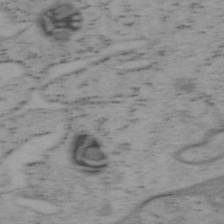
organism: Mouse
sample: OT-I killer T cells with ID8 ovarian cancer cells